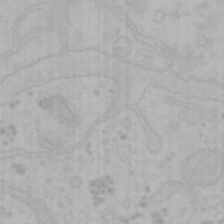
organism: Mouse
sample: Choroid plexus